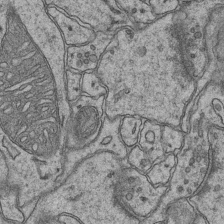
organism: Mouse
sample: CA1 Hippocampus